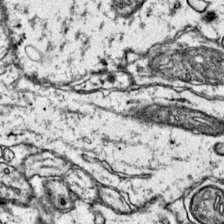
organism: Mouse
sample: Primary visual cortex